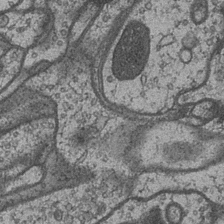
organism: Drosophila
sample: Optic medulla